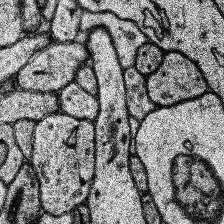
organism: Human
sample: Temporal Lobe